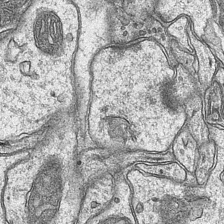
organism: Mouse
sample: CA1 Hippocampus